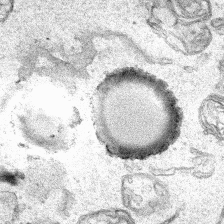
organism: Human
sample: Mitochondria in HCT116 cells